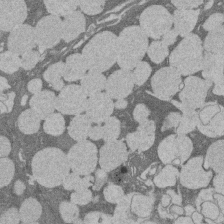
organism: Rat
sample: Salivary granule